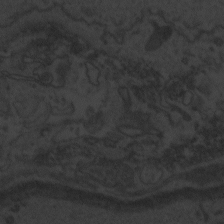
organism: Zebrafish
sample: Macrophage infected with Toxoplasma gondii